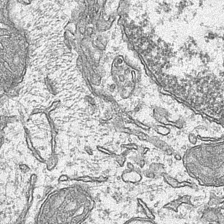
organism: Mouse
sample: CA1 Hippocampus